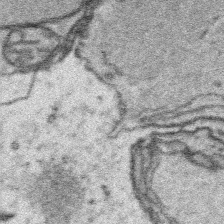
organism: Platynereis dumerilii